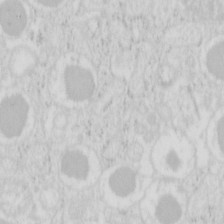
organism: Mouse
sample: Pancreas